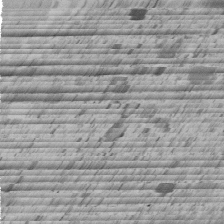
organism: C. elegans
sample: C. elegans embryo early stage